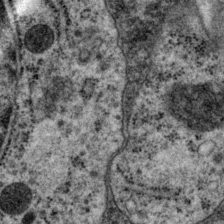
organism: P. pacificus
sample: Pharynx